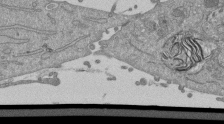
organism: Mouse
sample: ED-1 cell nuclei; centrioles